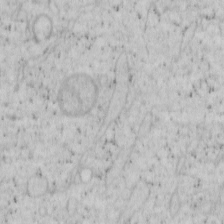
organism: Human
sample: HeLa cells